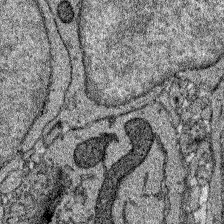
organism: Zebrafish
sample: Larval olfactory bulb